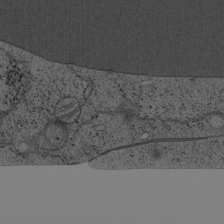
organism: African green monkey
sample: COS-7 cells